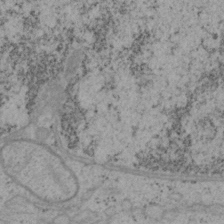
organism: Human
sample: HeLa cells